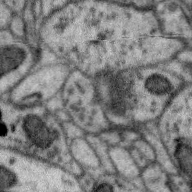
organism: Zebra finch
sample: Brain